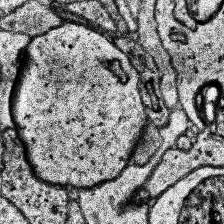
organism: Human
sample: Temporal Lobe